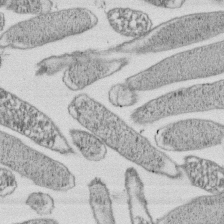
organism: E. coli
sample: Bacterial nucleoid